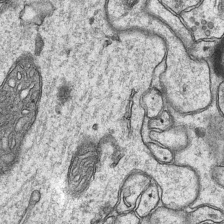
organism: Mouse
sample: CA1 Hippocampus